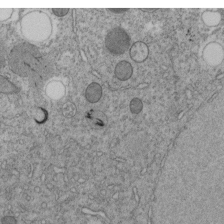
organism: C. elegans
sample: C. elegans embryo early stage